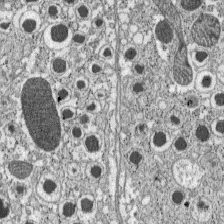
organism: C57BL Mouse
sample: Pancreatic islet